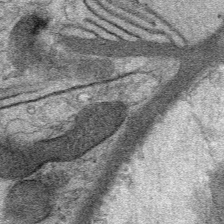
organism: Mouse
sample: Mouse Salivary gland